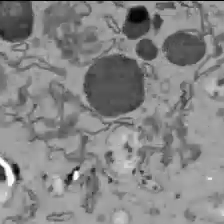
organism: C57BL Mouse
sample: Liver